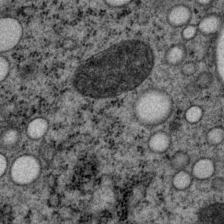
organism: P. pacificus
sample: Pharynx